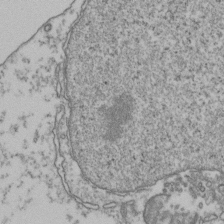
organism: Human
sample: Activated Jurkat CD4+ T cells